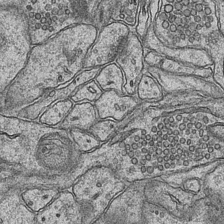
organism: Mouse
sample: CA1 Hippocampus